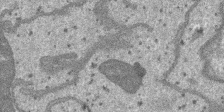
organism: Human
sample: Lung epithelial cells infected with SARS-CoV-2